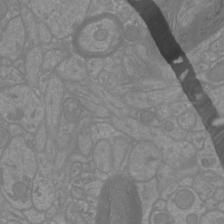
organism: Mouse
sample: Cortical neurons